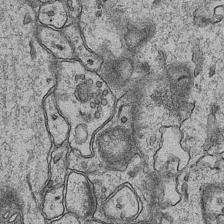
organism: Mouse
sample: CA1 Hippocampus